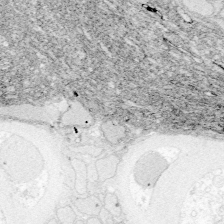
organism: Zebrafish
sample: Whole-Brain